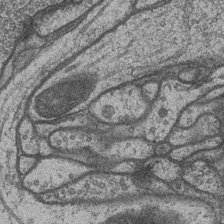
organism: Drosophila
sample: Optic medulla